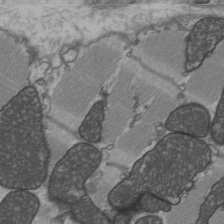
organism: C57BL Mouse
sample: Heart